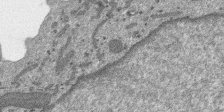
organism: Human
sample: Lung epithelial cells infected with SARS-CoV-2